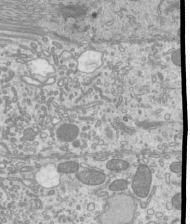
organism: Mouse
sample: Cilia; mouse epididymis